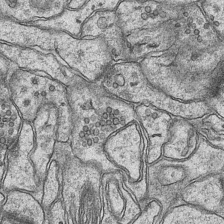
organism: Mouse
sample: CA1 Hippocampus